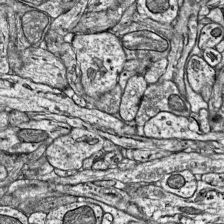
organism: Mouse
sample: Visual Cortex